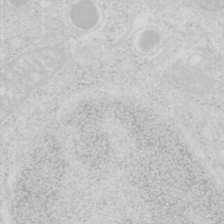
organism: Mouse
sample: Pancreas